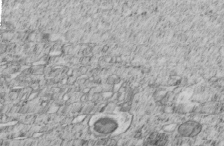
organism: C. elegans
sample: C. elegans embryo early stage